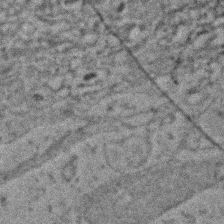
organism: Zebrafish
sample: Zebrafish embryo